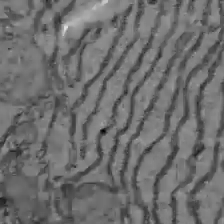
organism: C57BL Mouse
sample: Liver